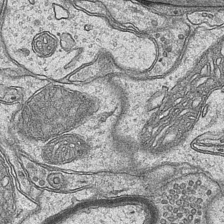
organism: Mouse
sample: CA1 Hippocampus